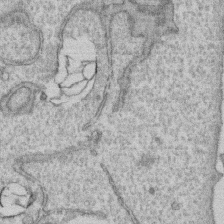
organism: Human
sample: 1205lu cells